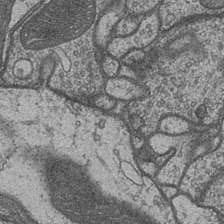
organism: Drosophila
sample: Optic medulla